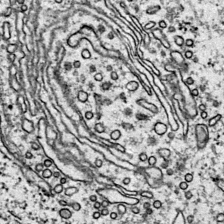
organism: Mouse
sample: Primary visual cortex